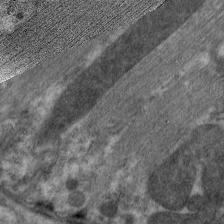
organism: C. elegans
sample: Pharynx